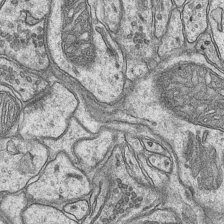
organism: Mouse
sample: CA1 Hippocampus